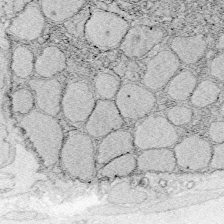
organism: Zebrafish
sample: Whole-Brain